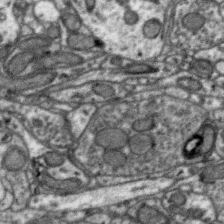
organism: Zebra finch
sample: Brain